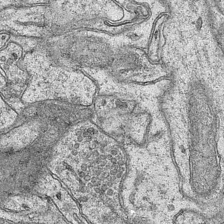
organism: Mouse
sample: CA1 Hippocampus